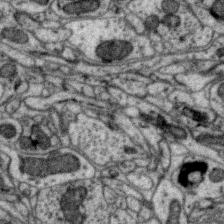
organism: Zebra finch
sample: Brain